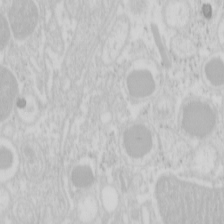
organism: Mouse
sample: Pancreas